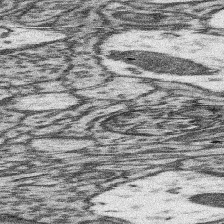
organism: Mouse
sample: Somatosensory cortex neuropil